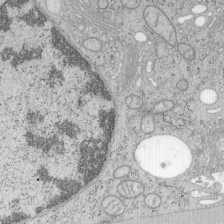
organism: Mouse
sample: OT-I killer T cells with ID8 ovarian cancer cells